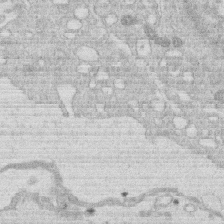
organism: Human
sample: Macrophage cells